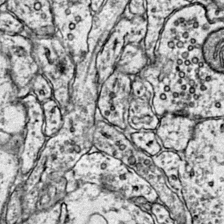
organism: Mouse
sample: Primary visual cortex